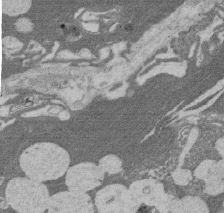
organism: Rat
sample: Salivary granule